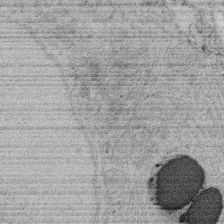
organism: Rat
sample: Salivary granule